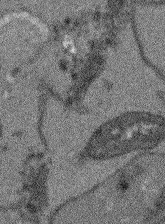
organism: Arabidopsis thaliana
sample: Root tip